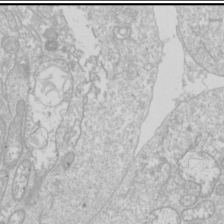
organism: Drosophila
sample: Cell division; meiosis; drosophila spermatocytes